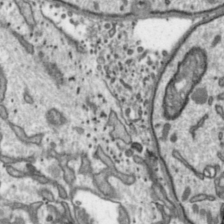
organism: Toxoplasma gondii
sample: Parasites in a vacuole inside a host cell